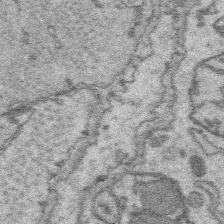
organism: Platynereis dumerilii